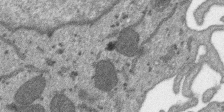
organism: Human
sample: Lung epithelial cells infected with SARS-CoV-2